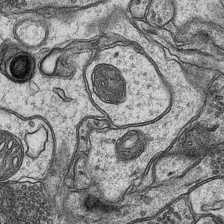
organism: Mouse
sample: CA1 Hippocampus